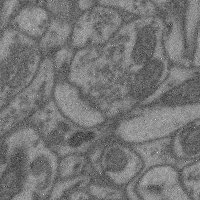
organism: Mouse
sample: Cerebral cortex